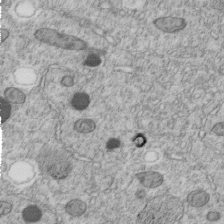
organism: C. elegans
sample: C. elegans embryo early stage